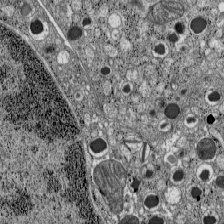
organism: C57BL Mouse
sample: Pancreatic islet